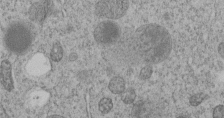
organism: C. elegans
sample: C. elegans embryo early stage